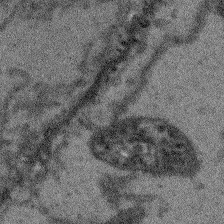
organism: Arabidopsis thaliana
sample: Root tip